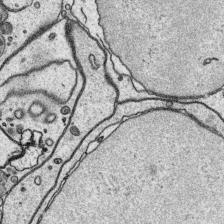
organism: Platynereis dumerilii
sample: Parapodia